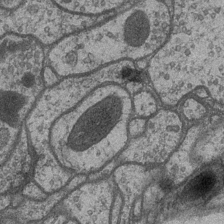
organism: Drosophila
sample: Optic medulla